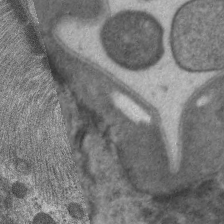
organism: C. elegans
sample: Pharynx